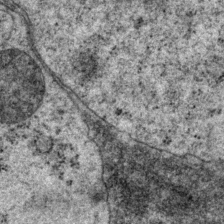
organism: P. pacificus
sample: Pharynx